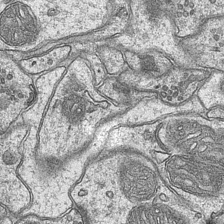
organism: Mouse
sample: CA1 Hippocampus